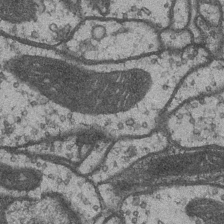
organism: Drosophila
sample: Optic medulla